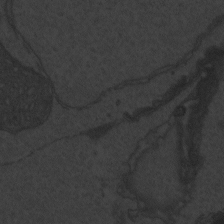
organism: Zebrafish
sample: Macrophage infected with Toxoplasma gondii